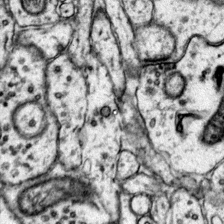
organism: Mouse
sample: Primary visual cortex